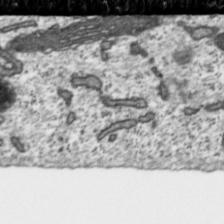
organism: Toxoplasma gondii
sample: Parasites in a vacuole inside a host cell